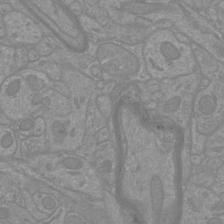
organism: Mouse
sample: Cortical neurons